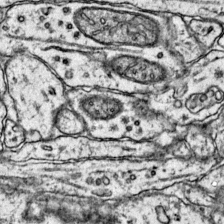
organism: Mouse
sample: Primary visual cortex